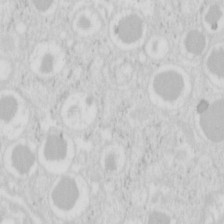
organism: Mouse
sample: Pancreas